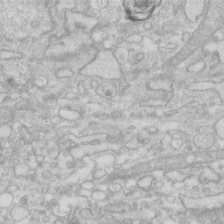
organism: Human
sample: Fibroblast cells